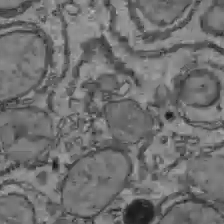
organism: C57BL Mouse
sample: Liver